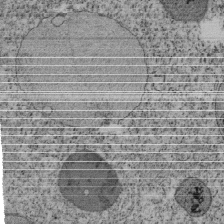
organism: Tetrahymena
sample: Cilia in tetrahymena